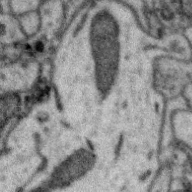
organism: Zebra finch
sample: Brain